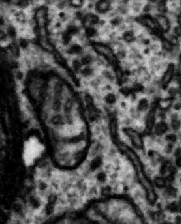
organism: Human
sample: HeLa cells